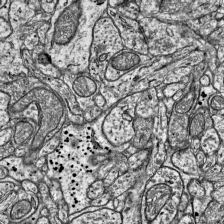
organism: Mouse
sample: Visual Cortex